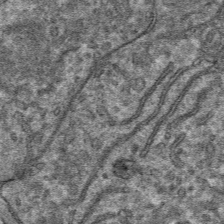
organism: Mouse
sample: Mouse hepatocytes